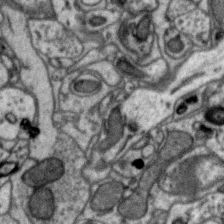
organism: Zebra finch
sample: Brain